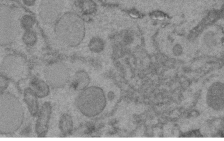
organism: C. elegans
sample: C. elegans embryo early stage